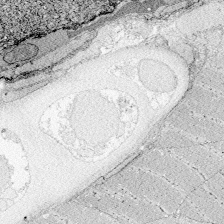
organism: Zebrafish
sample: Whole-Brain